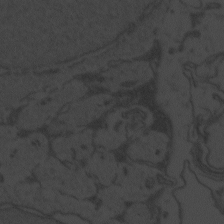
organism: Zebrafish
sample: Macrophage infected with Toxoplasma gondii